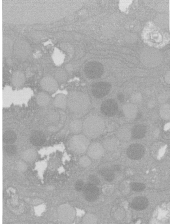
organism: C. elegans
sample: C. elegans oocyte; sperm cells